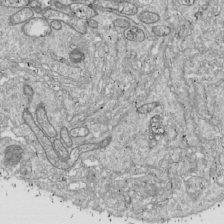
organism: Drosophila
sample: Cell division; meiosis; drosophila spermatocytes